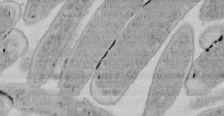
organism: E. coli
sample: Bacterial nucleoid